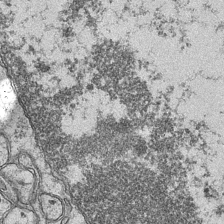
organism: Mouse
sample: CA1 Hippocampus